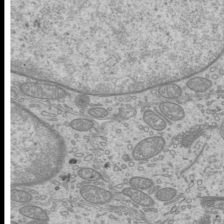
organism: Mouse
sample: Cilia; mouse epididymis